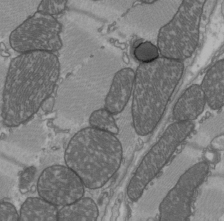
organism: C57BL Mouse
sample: Heart